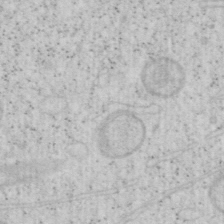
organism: Human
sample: HeLa cells